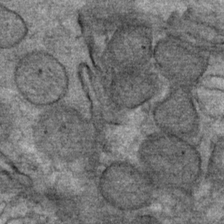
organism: Mouse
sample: Mouse Salivary gland